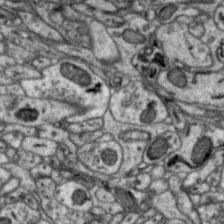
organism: Zebra finch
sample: Brain